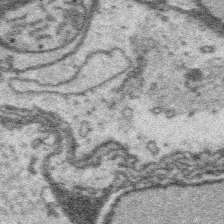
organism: Platynereis dumerilii